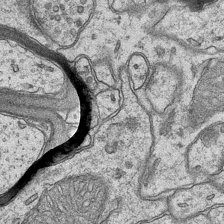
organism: Mouse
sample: CA1 Hippocampus